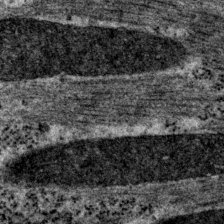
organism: P. pacificus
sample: Pharynx